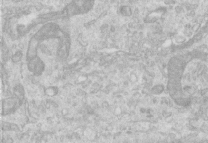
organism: Human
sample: Centriole in RPE cells